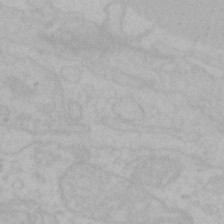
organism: Mouse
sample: Choroid plexus